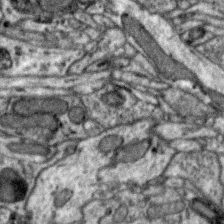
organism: Zebra finch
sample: Brain